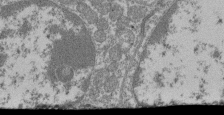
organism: Mouse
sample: Glomerulus